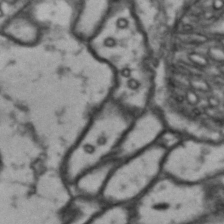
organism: Drosophila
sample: Brain